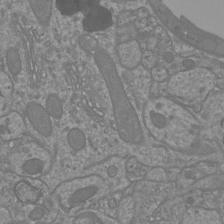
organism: Mouse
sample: Cortical neurons